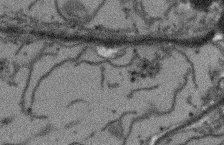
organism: Arabidopsis thaliana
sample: Root tip